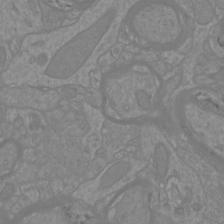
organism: Mouse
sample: Cortical neurons